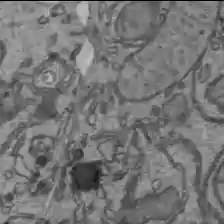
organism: C57BL Mouse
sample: Liver